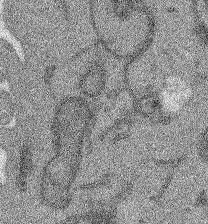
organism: Human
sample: HeLa cells